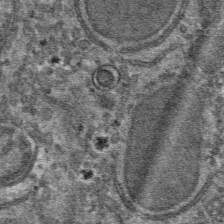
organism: Mouse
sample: Mouse hepatocytes